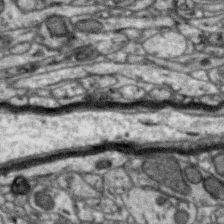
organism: Zebra finch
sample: Brain